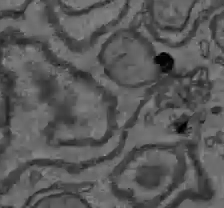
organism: C57BL Mouse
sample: Liver